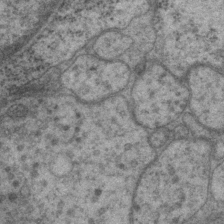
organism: P. pacificus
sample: Pharynx